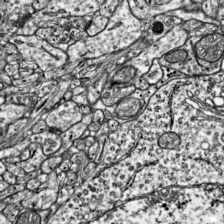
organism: Mouse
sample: Visual Cortex